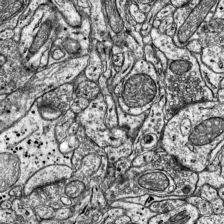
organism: Mouse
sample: Visual Cortex